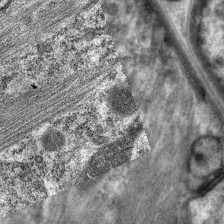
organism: C. elegans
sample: Pharynx